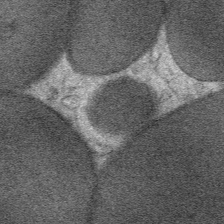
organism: Mouse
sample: Mouse Salivary gland